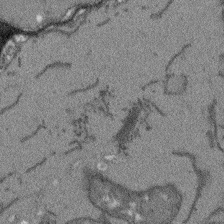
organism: Arabidopsis thaliana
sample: Root tip